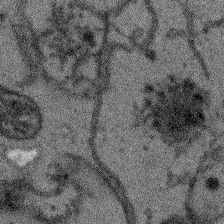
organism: Arabidopsis thaliana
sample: Root tip